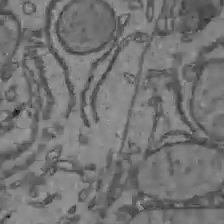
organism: C57BL Mouse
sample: Liver